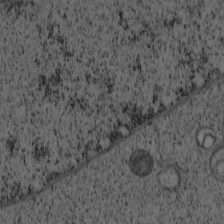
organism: African green monkey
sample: COS-7 cells